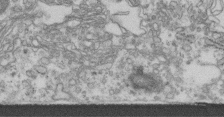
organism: Human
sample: Centriole in fibroblast cells